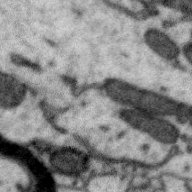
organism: Zebra finch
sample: Brain